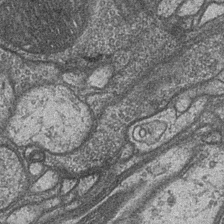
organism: Drosophila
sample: Optic medulla